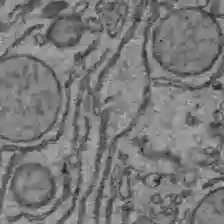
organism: C57BL Mouse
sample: Liver